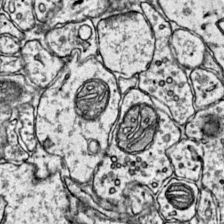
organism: Mouse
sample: Primary visual cortex